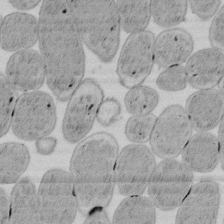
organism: E. coli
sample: Bacterial nucleoid